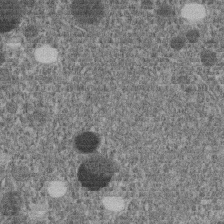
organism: C. elegans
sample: C. elegans embryo early stage